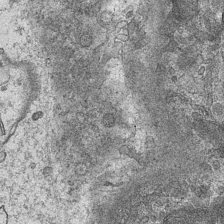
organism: Mouse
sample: CA1 Hippocampus